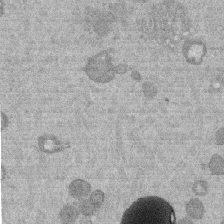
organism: Mouse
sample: Dividing mouse embryo 1 cell stage